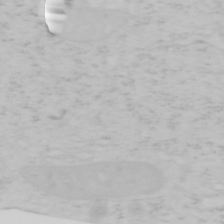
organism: Mouse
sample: OT-I killer T cells with ID8 ovarian cancer cells